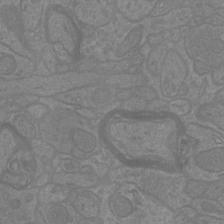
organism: Mouse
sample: Cortical neurons